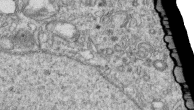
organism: Human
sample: HeLa cell HIV synapse